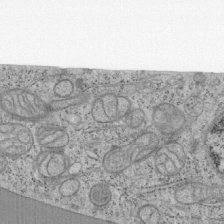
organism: Human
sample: HeLa cells